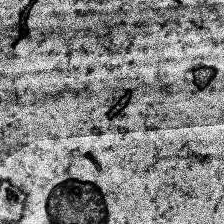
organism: Human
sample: Temporal Lobe